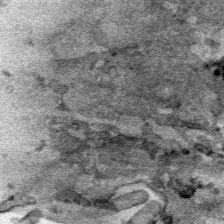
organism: Human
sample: Mitochondria in HCT116 cells